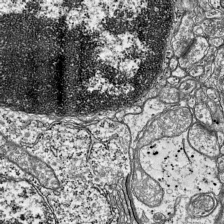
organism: Mouse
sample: Visual Cortex